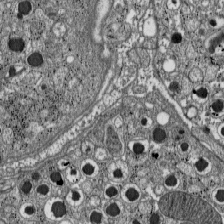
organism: C57BL Mouse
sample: Pancreatic islet